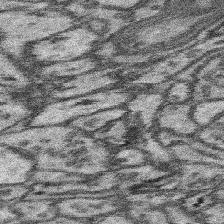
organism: Mouse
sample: Somatosensory cortex neuropil